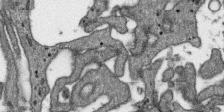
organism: Human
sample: Lung epithelial cells, uninfected (mock) control